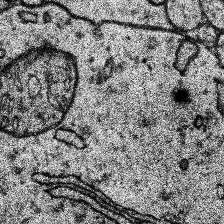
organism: Human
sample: Temporal Lobe